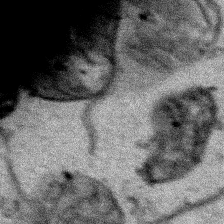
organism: Human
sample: Mitochondria in HCT116 cells